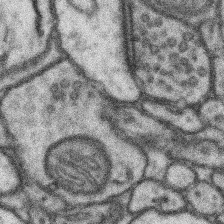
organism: Mouse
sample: Somatosensory cortex neuropil